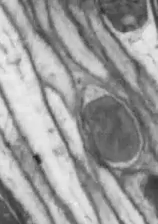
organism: Drosophila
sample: Optic lobe